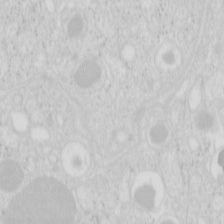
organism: Mouse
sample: Pancreas